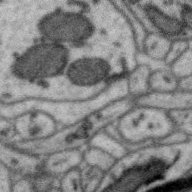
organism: Zebra finch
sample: Brain